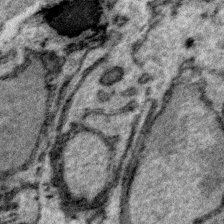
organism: Plasmodium falciparum